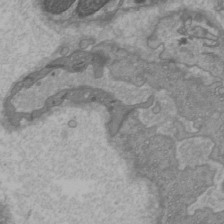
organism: C57BL Mouse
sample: Heart